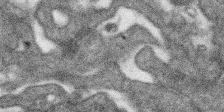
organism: Human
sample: Lung epithelial cells infected with SARS-CoV-2